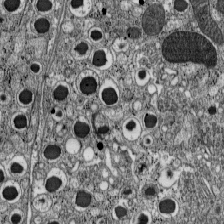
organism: C57BL Mouse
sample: Pancreatic islet